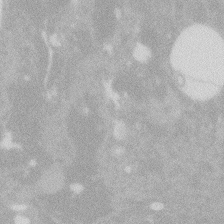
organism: Zebrafish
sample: Macrophage